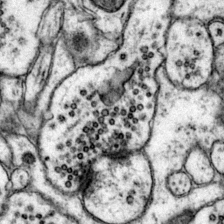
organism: Mouse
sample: Primary visual cortex